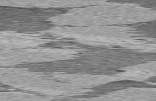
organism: C57BL Mouse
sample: Heart